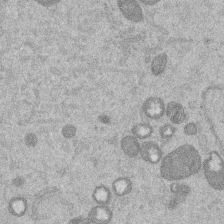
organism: Mouse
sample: Dividing mouse embryo 1 cell stage